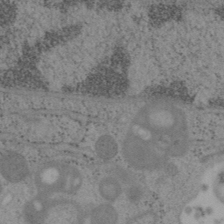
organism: Mouse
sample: OT-I killer T cells with ID8 ovarian cancer cells